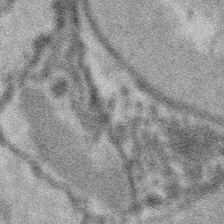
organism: Platynereis dumerilii